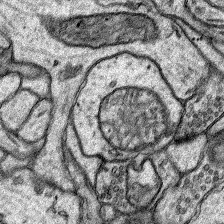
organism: Rat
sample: Hippocampus